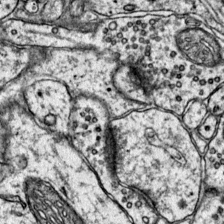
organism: Mouse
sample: Primary visual cortex